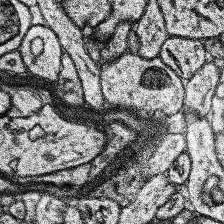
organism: Human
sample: Temporal Lobe